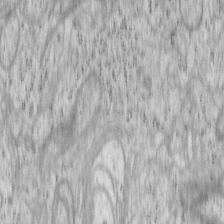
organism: Human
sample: HeLa cells